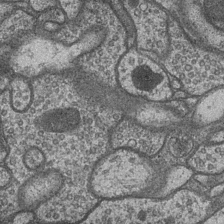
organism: Drosophila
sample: Optic medulla